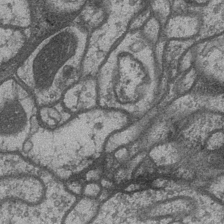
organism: Drosophila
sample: Optic medulla